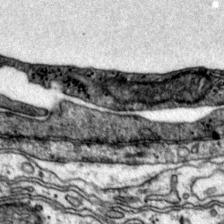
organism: Mouse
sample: Primary visual cortex